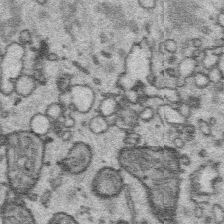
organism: Platynereis dumerilii